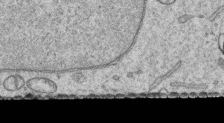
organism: Human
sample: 1205lu cells